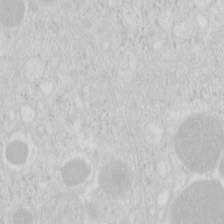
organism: Mouse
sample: Pancreas